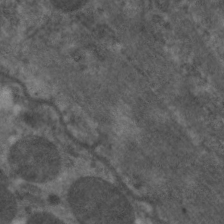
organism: C. elegans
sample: Pharynx